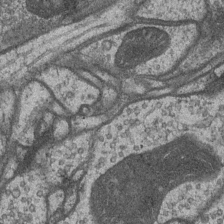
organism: Drosophila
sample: Optic medulla